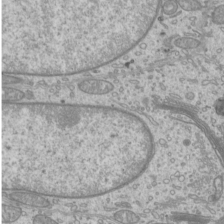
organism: Mouse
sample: Cilia; mouse epididymis